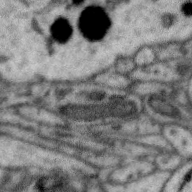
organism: Zebra finch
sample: Brain